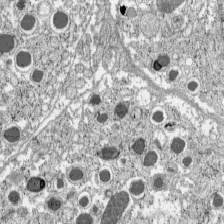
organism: C57BL Mouse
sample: Pancreatic islet